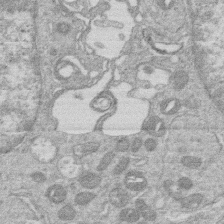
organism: Human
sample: Macrophage cells